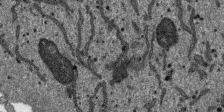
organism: Human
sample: Lung epithelial cells infected with SARS-CoV-2